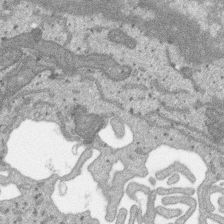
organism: Human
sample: Lung epithelial cells infected with SARS-CoV-2